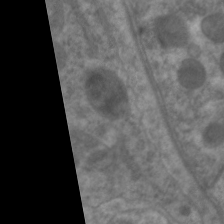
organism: C. elegans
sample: Pharynx